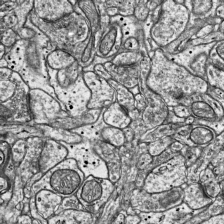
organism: Mouse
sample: Visual Cortex